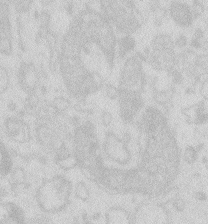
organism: Zebrafish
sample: Macrophage